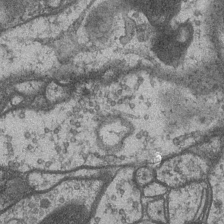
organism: Drosophila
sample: Optic medulla